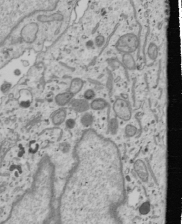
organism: Human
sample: Mitochondria in U2OS cells